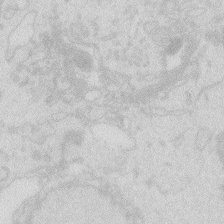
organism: Zebrafish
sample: Macrophage